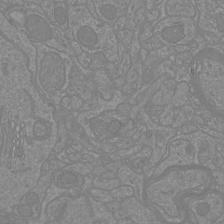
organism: Mouse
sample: Cortical neurons